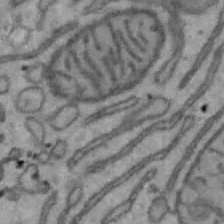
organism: Mouse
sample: Liver